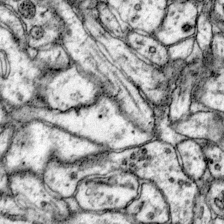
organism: Mouse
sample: Primary visual cortex